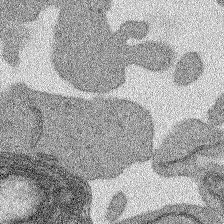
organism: Human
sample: HeLa cells